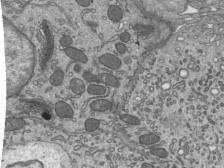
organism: Mouse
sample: Mouse epididymis efferent ductule cilia